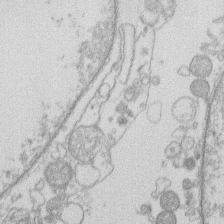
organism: Human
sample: Macrophage cells